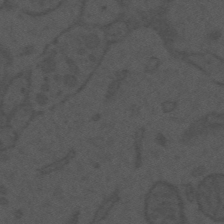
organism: Mouse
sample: Suprachiasmatic nucleus